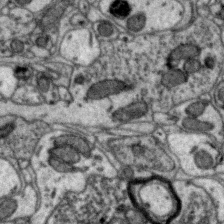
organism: Zebra finch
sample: Brain